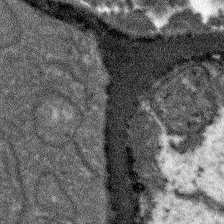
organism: Arabidopsis thaliana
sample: Root tip